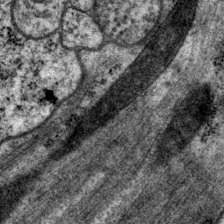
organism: P. pacificus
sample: Pharynx